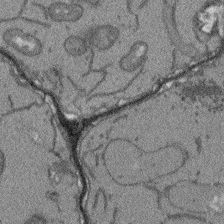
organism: Arabidopsis thaliana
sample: Root tip